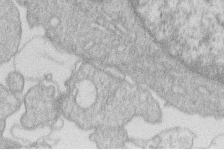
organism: Human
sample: Macrophage cells